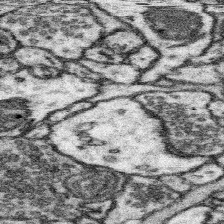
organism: Mouse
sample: Somatosensory cortex neuropil